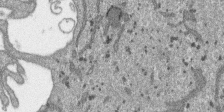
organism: Human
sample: Lung epithelial cells infected with SARS-CoV-2